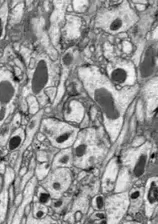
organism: Drosophila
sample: Optic lobe